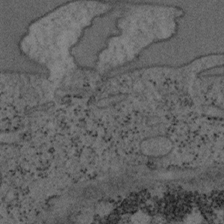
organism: Human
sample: HeLa cells